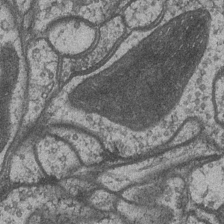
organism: Drosophila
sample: Optic medulla